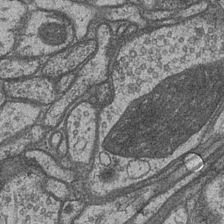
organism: Drosophila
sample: Optic medulla